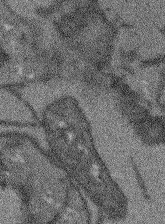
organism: Arabidopsis thaliana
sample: Root tip